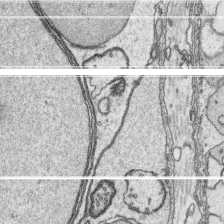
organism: Platynereis dumerilii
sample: Parapodia